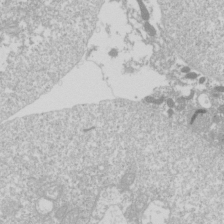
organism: Drosophila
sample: Cell division; meiosis; drosophila spermatocytes